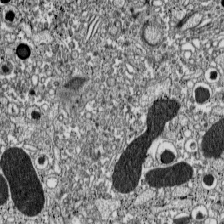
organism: C57BL Mouse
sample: Pancreatic islet